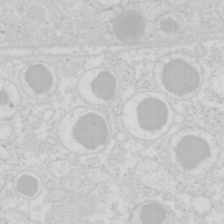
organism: Mouse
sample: Pancreas